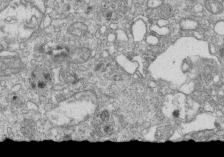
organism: Human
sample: HeLa cell HIV synapse